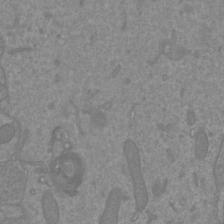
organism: Mouse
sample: Cortical neurons